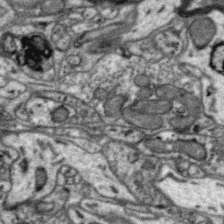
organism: Zebra finch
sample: Brain